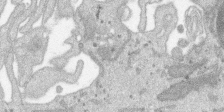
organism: Human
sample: Lung epithelial cells infected with SARS-CoV-2